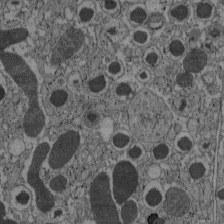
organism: C57BL Mouse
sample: Pancreatic islet